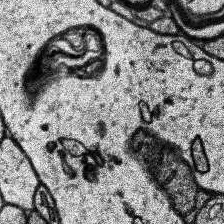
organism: Human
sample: Temporal Lobe